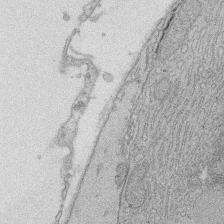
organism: Rat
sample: Salivary granule